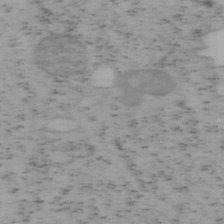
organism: Mouse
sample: OT-I killer T cells with ID8 ovarian cancer cells